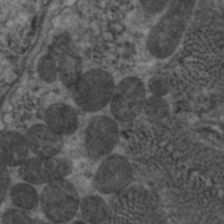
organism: C. elegans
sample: Pharynx